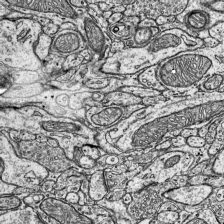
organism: Mouse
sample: Visual Cortex